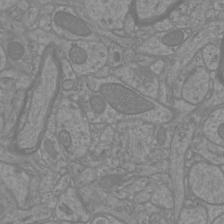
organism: Mouse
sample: Cortical neurons